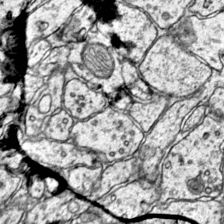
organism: Mouse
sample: Primary visual cortex